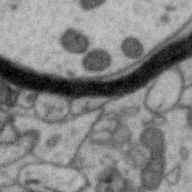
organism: Zebra finch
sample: Brain